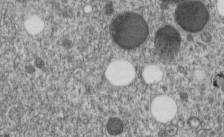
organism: C. elegans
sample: C. elegans embryo early stage